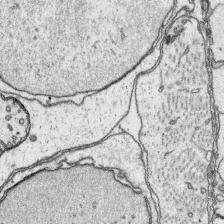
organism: Platynereis dumerilii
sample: Parapodia